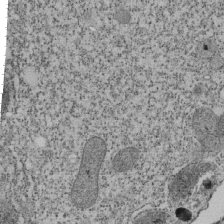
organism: Tetrahymena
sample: Cilia in tetrahymena